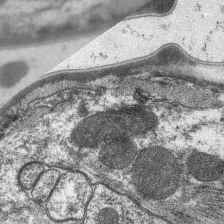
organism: C. elegans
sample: Pharynx